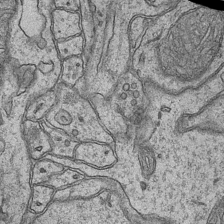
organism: Mouse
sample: CA1 Hippocampus